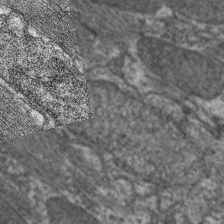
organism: C. elegans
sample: Pharynx